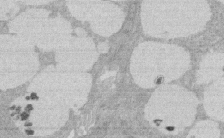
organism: Rat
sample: Salivary granule